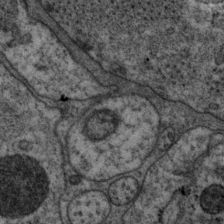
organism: P. pacificus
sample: Pharynx